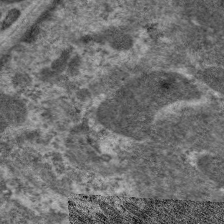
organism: C. elegans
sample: Pharynx